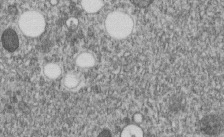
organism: C. elegans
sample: C. elegans embryo early stage